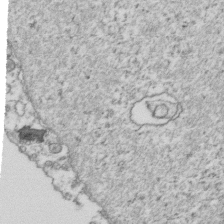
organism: Human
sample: Activated Jurkat CD4+ T cells